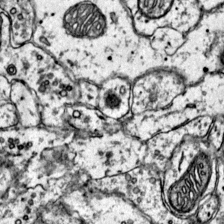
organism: Mouse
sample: Primary visual cortex